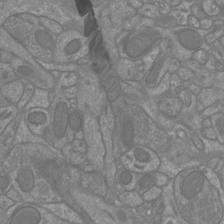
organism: Mouse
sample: Cortical neurons